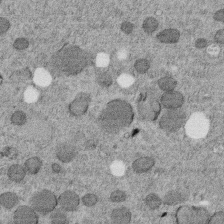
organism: C. elegans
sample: C. elegans embryo early stage